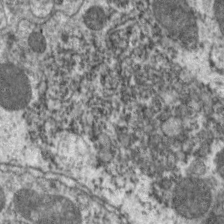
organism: C. elegans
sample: Pharynx